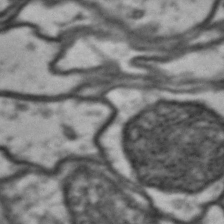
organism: Drosophila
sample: Brain